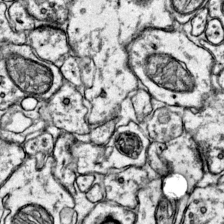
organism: Mouse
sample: Primary visual cortex